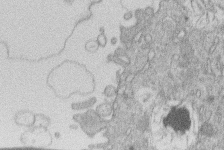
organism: Human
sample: Macrophage cells